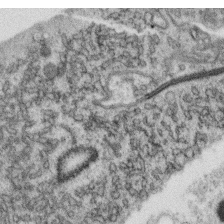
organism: C. elegans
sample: C. elegans oocyte; sperm cells